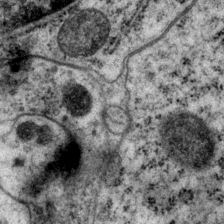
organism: P. pacificus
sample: Pharynx